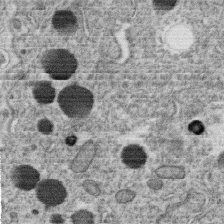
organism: C. elegans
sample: C. elegans oocyte; sperm cells